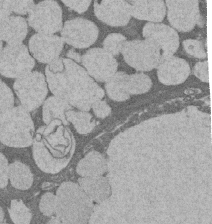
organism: Rat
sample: Salivary granule